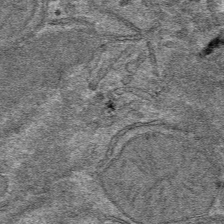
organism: Mouse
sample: Mouse hepatocytes